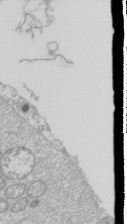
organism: Drosophila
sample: Cell division; meiosis; drosophila spermatocytes